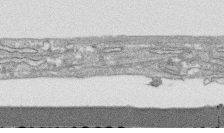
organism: Human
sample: CRL-1474